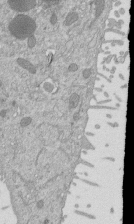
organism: Mouse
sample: ED-1 cell nuclei; centrioles